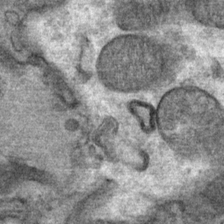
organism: Mouse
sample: Mouse Salivary gland